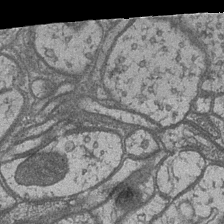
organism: Drosophila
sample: Optic medulla